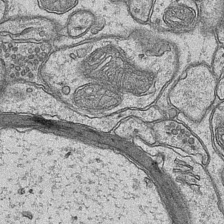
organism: Mouse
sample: CA1 Hippocampus